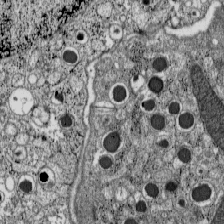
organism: C57BL Mouse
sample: Pancreatic islet